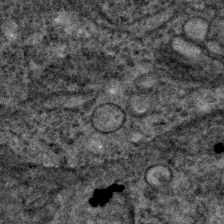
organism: C. elegans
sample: C. elegans embryo